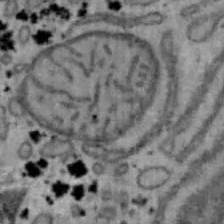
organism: Mouse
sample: Liver